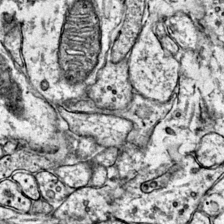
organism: Mouse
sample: Primary visual cortex